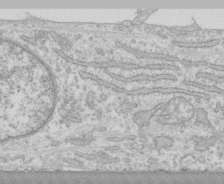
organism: Human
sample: CRL-1474